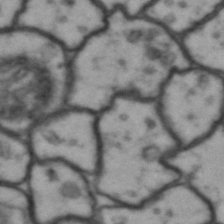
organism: Drosophila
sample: Brain